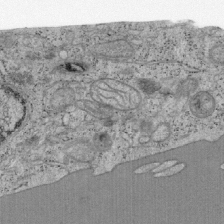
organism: Human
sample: HeLa cells